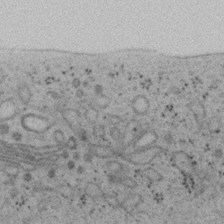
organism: Human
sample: HeLa cells